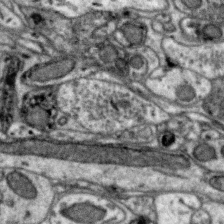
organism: Zebra finch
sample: Brain